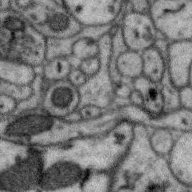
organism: Zebra finch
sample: Brain